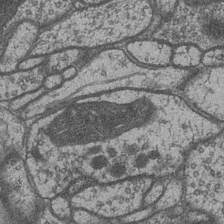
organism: Drosophila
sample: Optic medulla